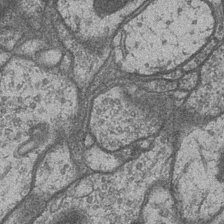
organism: Drosophila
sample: Optic medulla